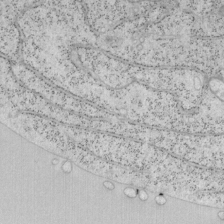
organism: Mouse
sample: OT-I killer T cells with ID8 ovarian cancer cells